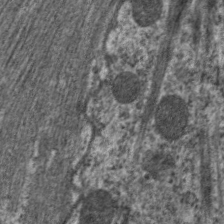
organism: C. elegans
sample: Pharynx